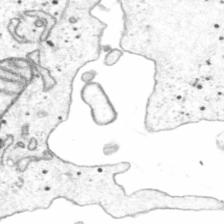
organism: Human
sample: HeLa cells